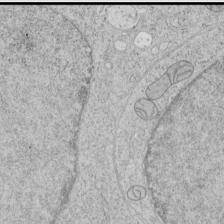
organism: Human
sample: Mitochondria in HCT116 cells